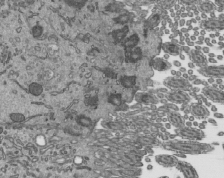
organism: Mouse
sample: Mouse epididymis efferent ductule cilia